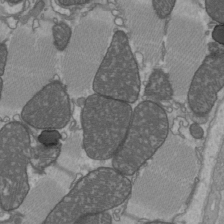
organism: C57BL Mouse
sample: Heart